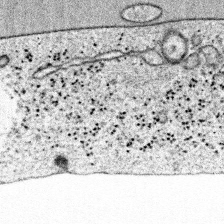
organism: Human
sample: HeLa cells